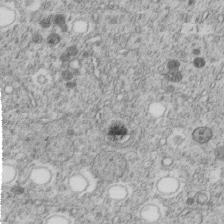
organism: C. elegans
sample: C. elegans embryo early stage